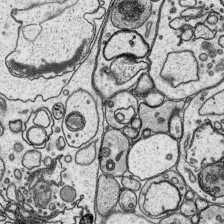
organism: Platynereis dumerilii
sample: Parapodia